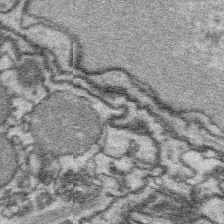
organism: Platynereis dumerilii